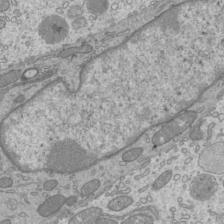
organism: Mouse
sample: Cilia; mouse epididymis